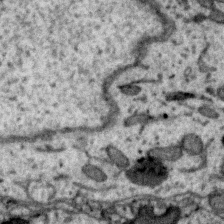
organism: Zebra finch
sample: Brain